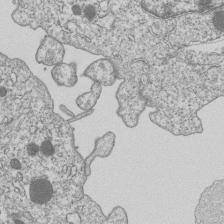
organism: Human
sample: MDA-MB-231 cells